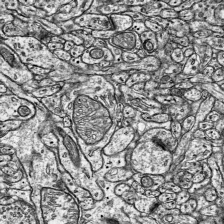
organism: Mouse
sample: Visual Cortex